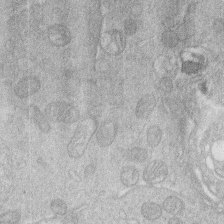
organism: Human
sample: Macrophage cells